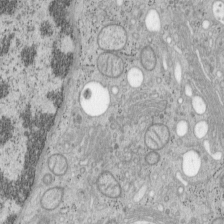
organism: Mouse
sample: OT-I killer T cells with ID8 ovarian cancer cells